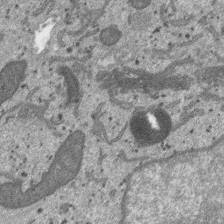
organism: Human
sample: Lung epithelial cells infected with SARS-CoV-2